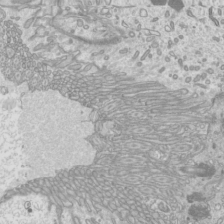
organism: Mouse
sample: Cilia; mouse epididymis